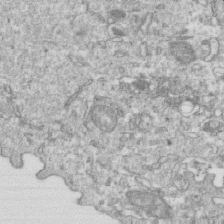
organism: Mouse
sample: Activated OT-1 CD8+ T cells